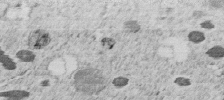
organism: C. elegans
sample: C. elegans embryo early stage